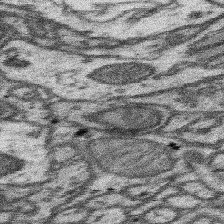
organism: Mouse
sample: Somatosensory cortex neuropil